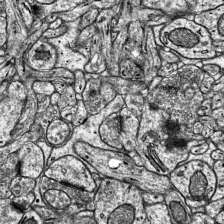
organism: Mouse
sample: Visual Cortex